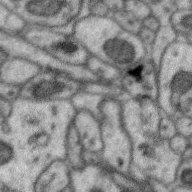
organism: Zebra finch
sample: Brain